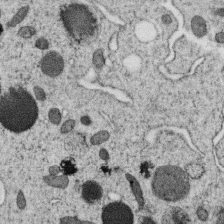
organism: C. elegans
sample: C. elegans oocyte; sperm cells